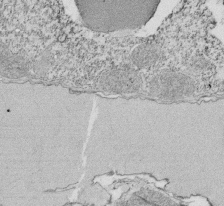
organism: Tetrahymena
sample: Cilia in tetrahymena